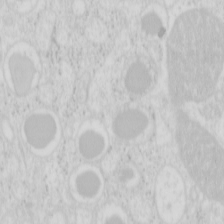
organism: Mouse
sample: Pancreas